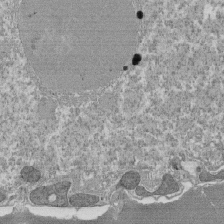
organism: Tetrahymena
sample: Cilia in tetrahymena